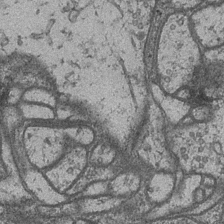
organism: Drosophila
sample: Optic medulla